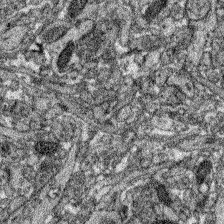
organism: Zebrafish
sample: Larval olfactory bulb